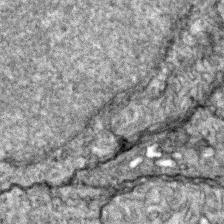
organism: Zebrafish